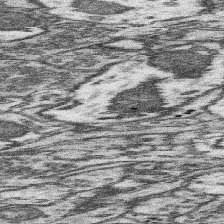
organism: Mouse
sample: Somatosensory cortex neuropil